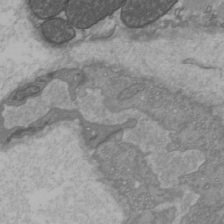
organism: C57BL Mouse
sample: Heart